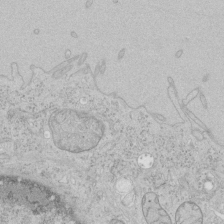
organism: Human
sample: Mitochondria in HCT116 cells